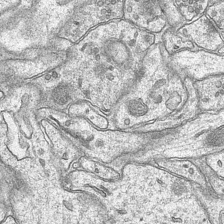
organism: Mouse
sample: CA1 Hippocampus